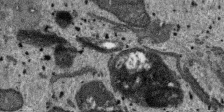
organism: Human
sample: Lung epithelial cells, uninfected (mock) control